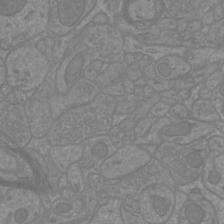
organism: Mouse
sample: Cortical neurons